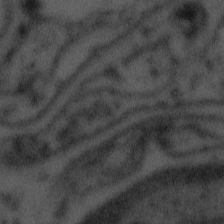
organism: Tuwongella immobilis